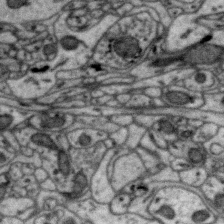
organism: Zebra finch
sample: Brain